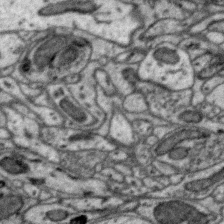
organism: Zebra finch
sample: Brain